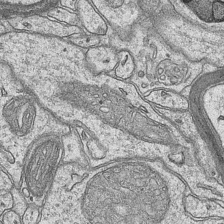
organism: Mouse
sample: CA1 Hippocampus